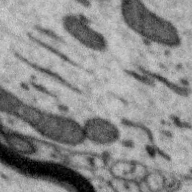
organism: Zebra finch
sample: Brain